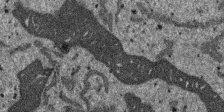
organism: Human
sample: Lung epithelial cells infected with SARS-CoV-2